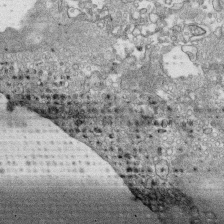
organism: Human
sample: CRL-1474